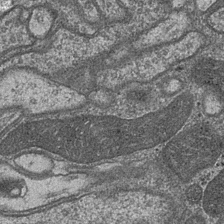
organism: Drosophila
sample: Optic medulla